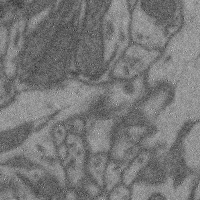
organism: Mouse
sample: Cerebral cortex